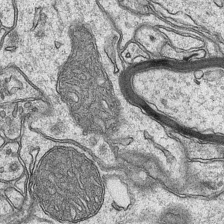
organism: Mouse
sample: CA1 Hippocampus